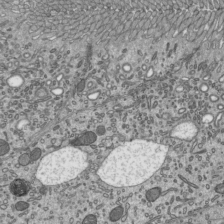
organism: Mouse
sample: Mouse epididymis efferent ductule cilia